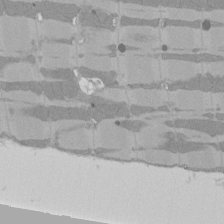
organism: Rat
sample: Left ventricle